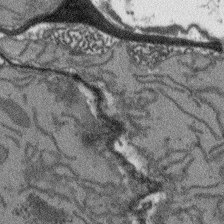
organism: Arabidopsis thaliana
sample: Root tip